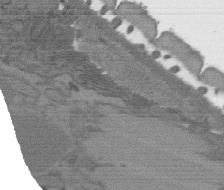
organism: C. elegans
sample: AFD neurons C. elegans